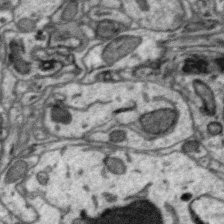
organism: Zebra finch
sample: Brain